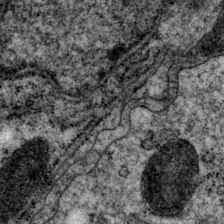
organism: P. pacificus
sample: Pharynx